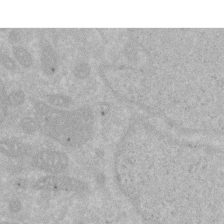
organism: Human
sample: HIV infected U937 cells